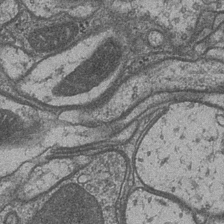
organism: Drosophila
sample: Optic medulla